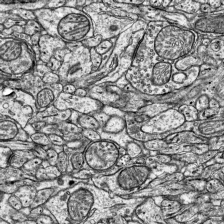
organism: Mouse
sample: Visual Cortex